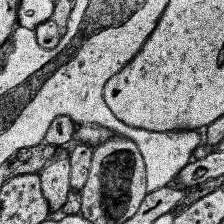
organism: Human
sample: Temporal Lobe